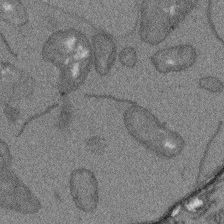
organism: Arabidopsis thaliana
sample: Root tip